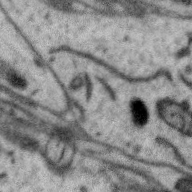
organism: Zebra finch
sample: Brain